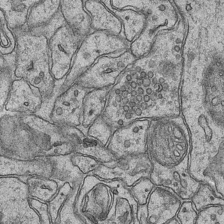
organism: Mouse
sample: CA1 Hippocampus